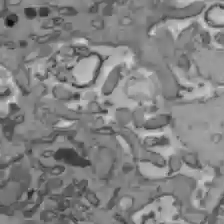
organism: C57BL Mouse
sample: Liver